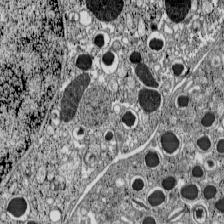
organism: C57BL Mouse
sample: Pancreatic islet